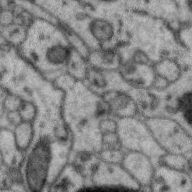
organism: Zebra finch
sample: Brain